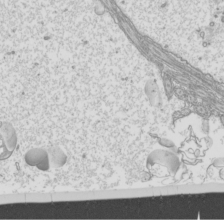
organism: Mouse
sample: Cilia; mouse epididymis